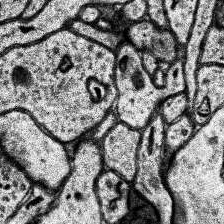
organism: Human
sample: Temporal Lobe